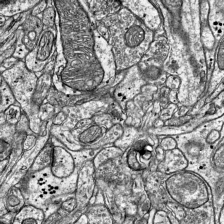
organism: Mouse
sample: Visual Cortex